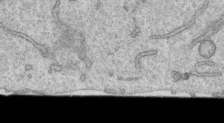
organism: Human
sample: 1205lu cells